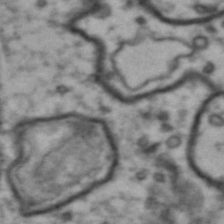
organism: Drosophila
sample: Brain